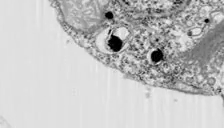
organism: Chlamydomonas reinhardtii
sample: Whole Cell